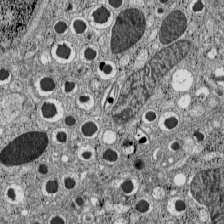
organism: C57BL Mouse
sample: Pancreatic islet